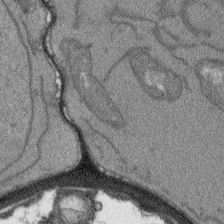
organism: Arabidopsis thaliana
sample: Root tip